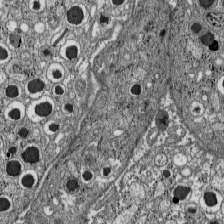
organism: C57BL Mouse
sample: Pancreatic islet